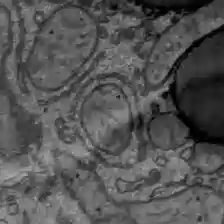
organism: C57BL Mouse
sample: Liver